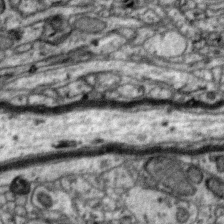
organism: Zebra finch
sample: Brain